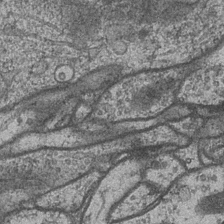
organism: Drosophila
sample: Optic medulla